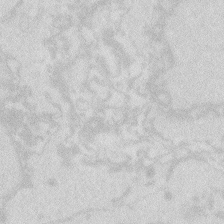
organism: Zebrafish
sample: Macrophage